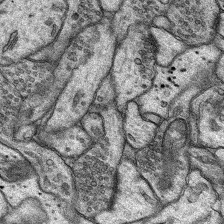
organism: Rat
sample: Hippocampus